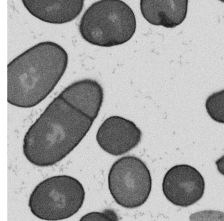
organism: B. subtilis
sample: Bacterial spore